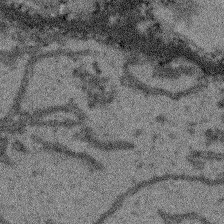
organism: Arabidopsis thaliana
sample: Root tip